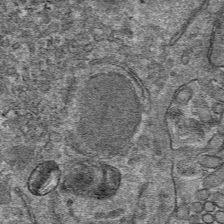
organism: Mouse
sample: Mouse hepatocytes